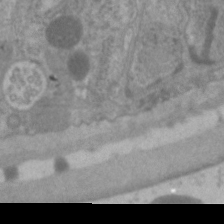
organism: C. elegans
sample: Pharynx